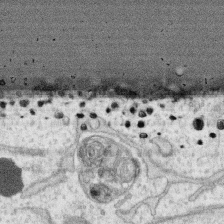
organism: Human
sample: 1205lu cells